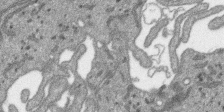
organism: Human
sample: Lung epithelial cells infected with SARS-CoV-2